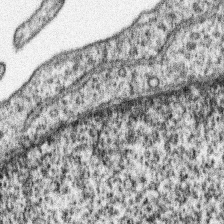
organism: Human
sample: HeLa cells